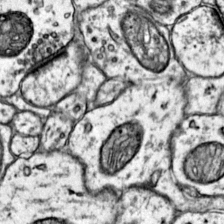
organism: Mouse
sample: Primary visual cortex